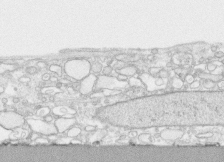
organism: Human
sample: CRL-1474